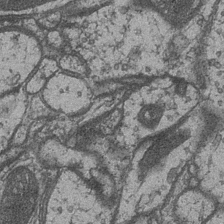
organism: Drosophila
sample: Optic medulla